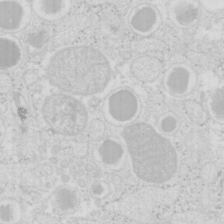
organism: Mouse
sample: Pancreas